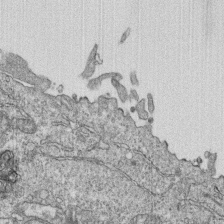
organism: Human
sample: HeLa cell HIV synapse